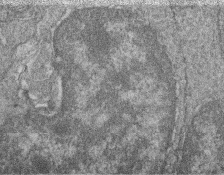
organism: Zebrafish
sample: Cilia; retinal pigment epithelium